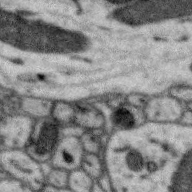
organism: Zebra finch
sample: Brain